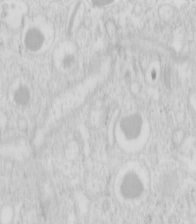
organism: Mouse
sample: Pancreas